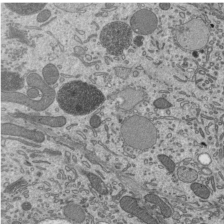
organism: Mouse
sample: Mouse epididymis efferent ductule cilia